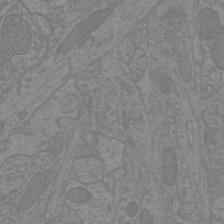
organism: Mouse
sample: Cortical neurons